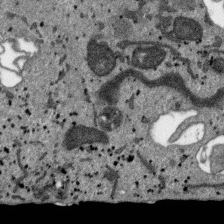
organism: Human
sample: Lung epithelial cells, uninfected (mock) control